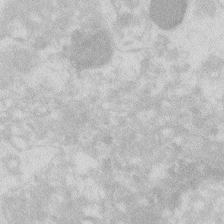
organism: Zebrafish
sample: Macrophage